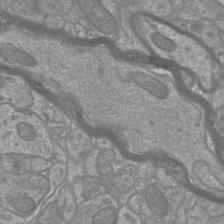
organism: Mouse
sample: Cortical neurons